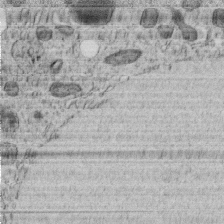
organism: C. elegans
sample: C. elegans embryo early stage